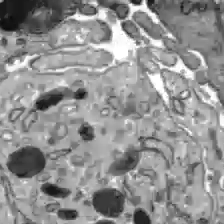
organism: C57BL Mouse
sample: Liver